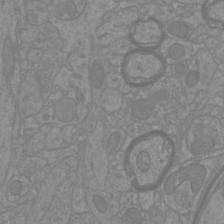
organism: Mouse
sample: Cortical neurons